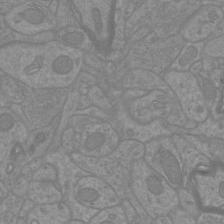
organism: Mouse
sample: Cortical neurons